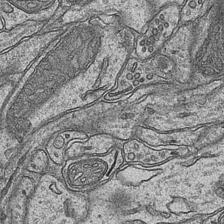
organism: Mouse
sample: CA1 Hippocampus